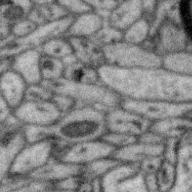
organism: Zebra finch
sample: Brain